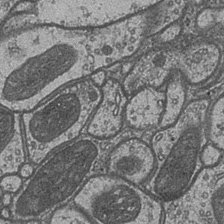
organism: Drosophila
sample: Optic medulla